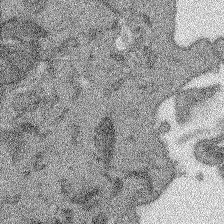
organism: Human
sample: HeLa cells